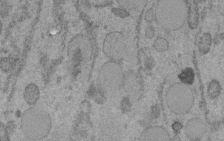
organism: C. elegans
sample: C. elegans embryo early stage